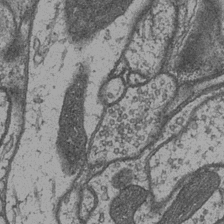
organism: Drosophila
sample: Optic medulla